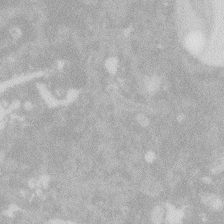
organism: Zebrafish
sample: Macrophage